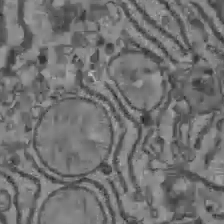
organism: C57BL Mouse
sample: Liver